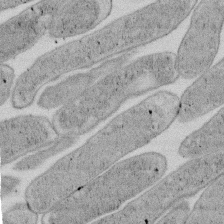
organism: E. coli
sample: Bacterial nucleoid